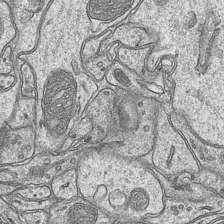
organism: Mouse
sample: CA1 Hippocampus